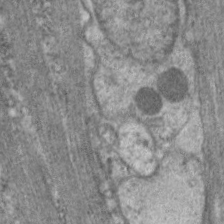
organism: C. elegans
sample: Pharynx